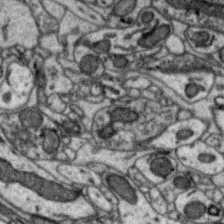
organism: Zebra finch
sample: Brain